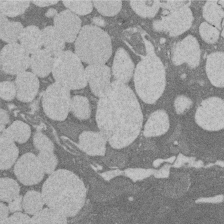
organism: Rat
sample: Salivary granule